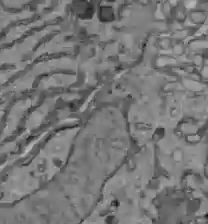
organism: C57BL Mouse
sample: Liver